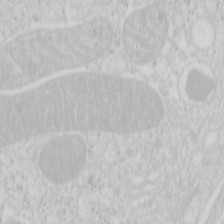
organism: Mouse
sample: Pancreas